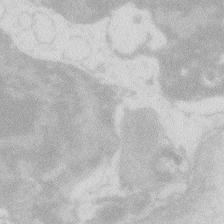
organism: Zebrafish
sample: Macrophage